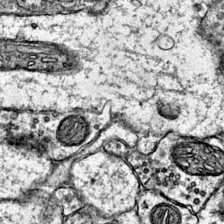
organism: Mouse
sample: Primary visual cortex